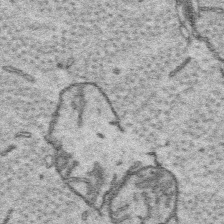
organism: Platynereis dumerilii